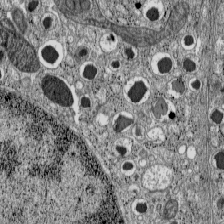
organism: C57BL Mouse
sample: Pancreatic islet